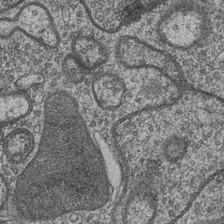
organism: Drosophila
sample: Optic medulla